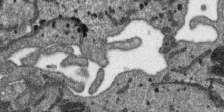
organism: Human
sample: Lung epithelial cells infected with SARS-CoV-2